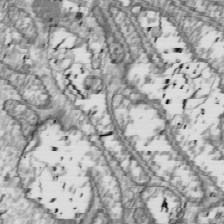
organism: Drosophila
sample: Cell division; meiosis; drosophila spermatocytes